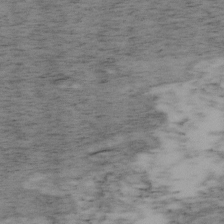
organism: Mouse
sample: OT-I killer T cells with ID8 ovarian cancer cells